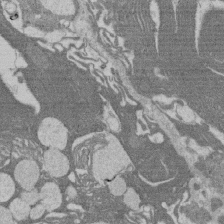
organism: Rat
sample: Salivary granule